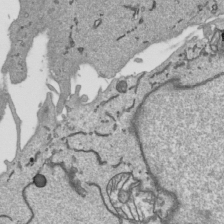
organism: Human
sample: Mitochondria in HCT116 cells